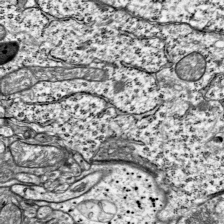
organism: Mouse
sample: Visual Cortex